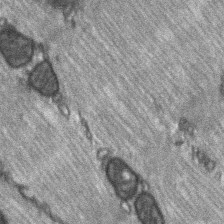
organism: C57BL Mouse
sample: Soleus